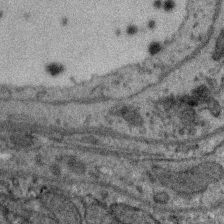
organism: Zebra finch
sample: Brain